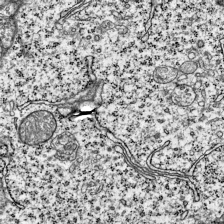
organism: Mouse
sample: Visual Cortex